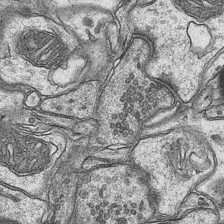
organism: Mouse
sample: CA1 Hippocampus